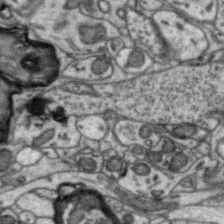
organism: Zebra finch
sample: Brain